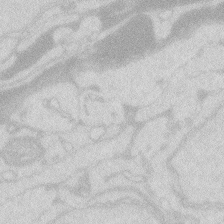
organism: Zebrafish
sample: Macrophage